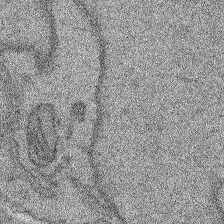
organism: Human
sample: HeLa cells